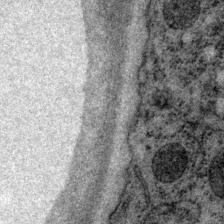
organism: P. pacificus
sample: Pharynx